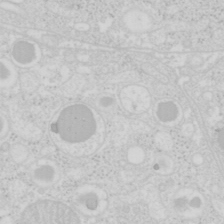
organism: Mouse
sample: Pancreas